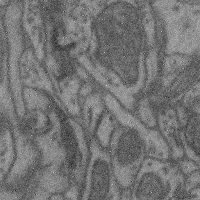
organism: Mouse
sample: Cerebral cortex